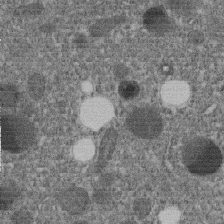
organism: C. elegans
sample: C. elegans embryo early stage